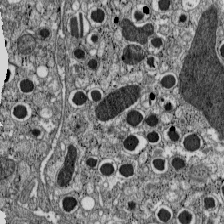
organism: C57BL Mouse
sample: Pancreatic islet